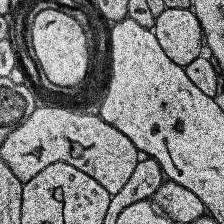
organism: Human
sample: Temporal Lobe